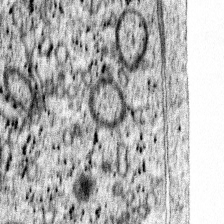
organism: Human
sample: HeLa cells